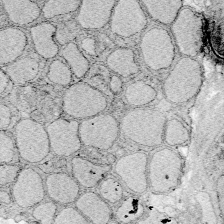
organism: Zebrafish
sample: Whole-Brain